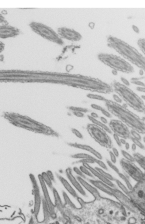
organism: Mouse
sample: Mouse epididymis efferent ductule cilia